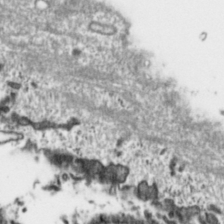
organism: Toxoplasma gondii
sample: Parasites in a vacuole inside a host cell